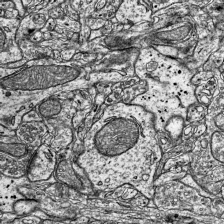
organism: Mouse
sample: Visual Cortex